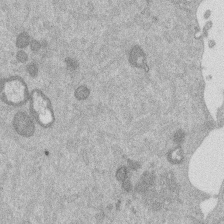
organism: Mouse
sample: Dividing mouse embryo 1 cell stage